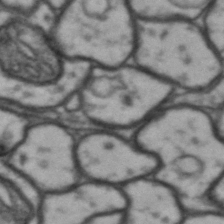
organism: Drosophila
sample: Brain